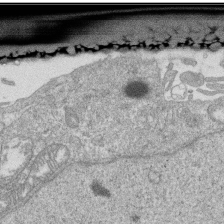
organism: Human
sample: HeLa cell HIV synapse